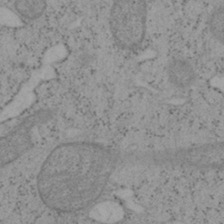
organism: Mouse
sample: OT-I killer T cells with ID8 ovarian cancer cells